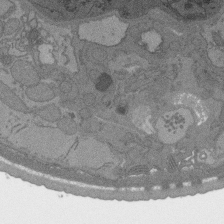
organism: C. elegans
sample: AFD neurons C. elegans